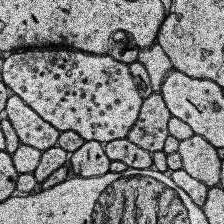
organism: Human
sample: Temporal Lobe